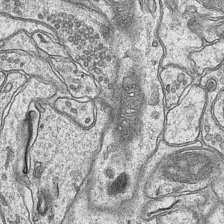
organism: Mouse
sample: CA1 Hippocampus